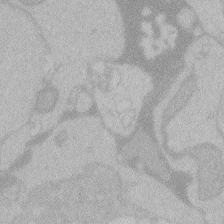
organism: Zebrafish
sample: Macrophage infected with Toxoplasma gondii